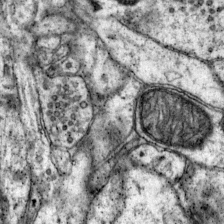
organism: Mouse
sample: Primary visual cortex